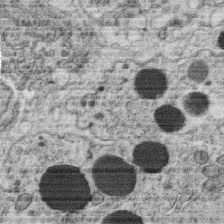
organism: C. elegans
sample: C. elegans oocyte; sperm cells